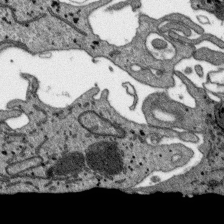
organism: Human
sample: Lung epithelial cells, uninfected (mock) control